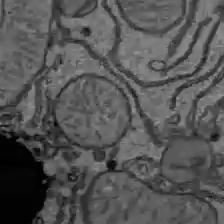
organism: C57BL Mouse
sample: Liver